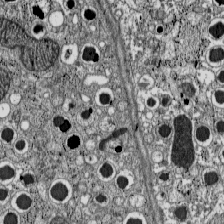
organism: C57BL Mouse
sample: Pancreatic islet